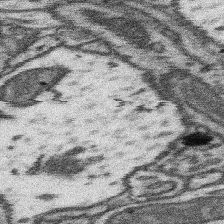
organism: Mouse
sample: Somatosensory cortex neuropil